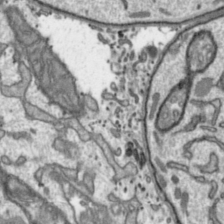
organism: Toxoplasma gondii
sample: Parasites in a vacuole inside a host cell